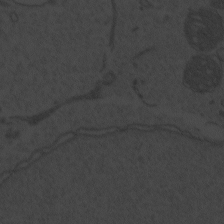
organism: Zebrafish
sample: Macrophage infected with Toxoplasma gondii